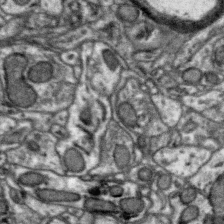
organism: Zebra finch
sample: Brain